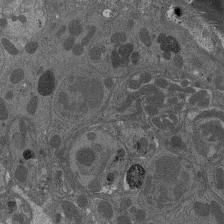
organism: Drosophila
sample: Antenna